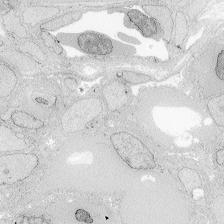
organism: Zebrafish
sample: Whole-Brain